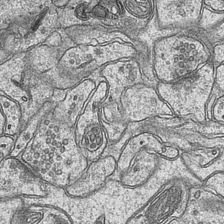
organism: Mouse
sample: CA1 Hippocampus